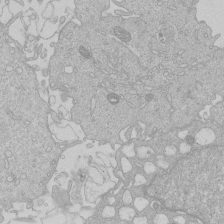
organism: Human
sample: Macrophage cells